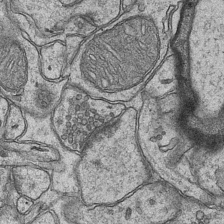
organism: Mouse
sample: CA1 Hippocampus